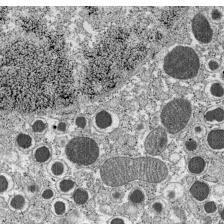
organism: C57BL Mouse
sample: Pancreatic islet